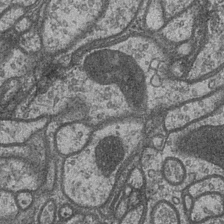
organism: Drosophila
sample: Optic medulla